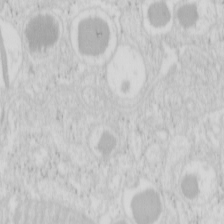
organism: Mouse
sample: Pancreas